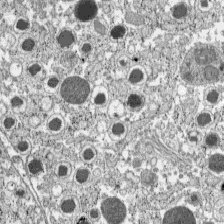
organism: C57BL Mouse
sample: Pancreatic islet